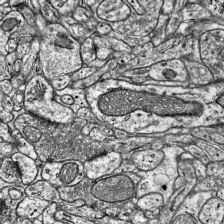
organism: Mouse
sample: Visual Cortex